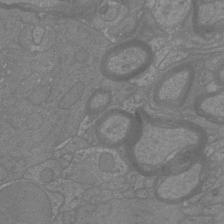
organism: Mouse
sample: Cortical neurons